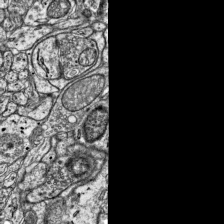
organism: Mouse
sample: Visual Cortex